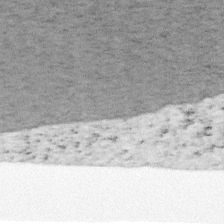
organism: Mouse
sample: OT-I killer T cells with ID8 ovarian cancer cells